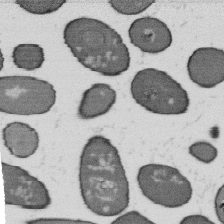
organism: B. subtilis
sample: Bacterial spore